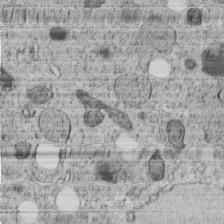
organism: C. elegans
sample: C. elegans embryo early stage